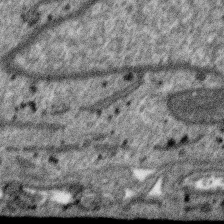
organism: Human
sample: Lung epithelial cells infected with SARS-CoV-2